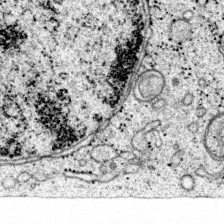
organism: Human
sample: HeLa cells